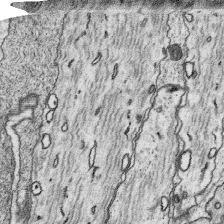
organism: Platynereis dumerilii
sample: Parapodia